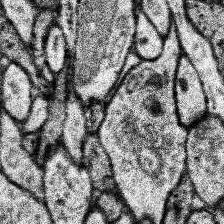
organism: Human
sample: Temporal Lobe